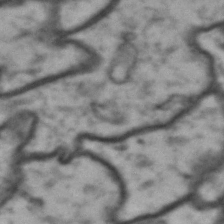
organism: Drosophila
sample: Brain